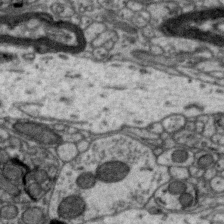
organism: Zebra finch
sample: Brain